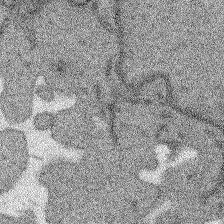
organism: Human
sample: HeLa cells